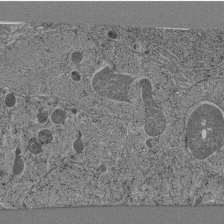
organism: C. elegans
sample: C. elegans pharynx